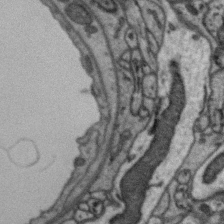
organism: Zebra finch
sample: Brain